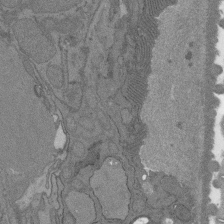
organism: C. elegans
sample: AFD neurons C. elegans